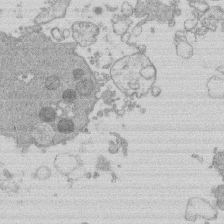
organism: Human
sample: Macrophage cells